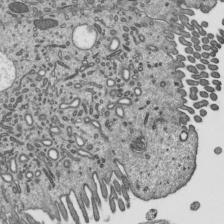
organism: Mouse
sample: Mouse epididymis efferent ductule cilia